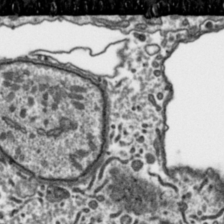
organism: Toxoplasma gondii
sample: Parasites in a vacuole inside a host cell